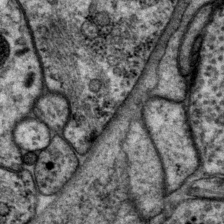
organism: P. pacificus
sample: Pharynx